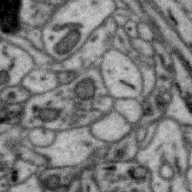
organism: Zebra finch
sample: Brain